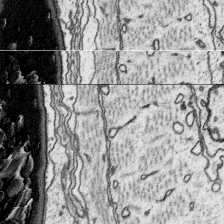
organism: Platynereis dumerilii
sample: Parapodia